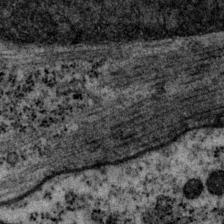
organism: P. pacificus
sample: Pharynx